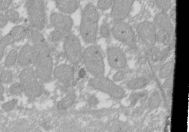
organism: Xenopus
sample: Cilia; centrioles in frog embryo cells